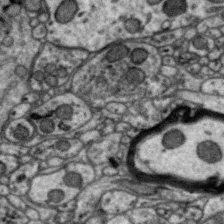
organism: Zebra finch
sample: Brain